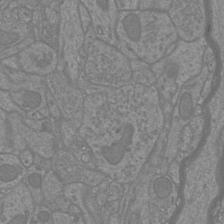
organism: Mouse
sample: Cortical neurons